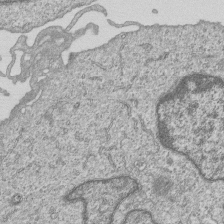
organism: Human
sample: MDA-MB-231 cells